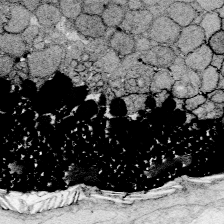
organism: Zebrafish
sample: Whole-Brain